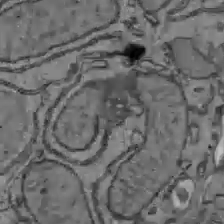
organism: C57BL Mouse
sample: Liver